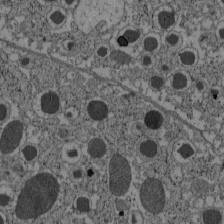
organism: C57BL Mouse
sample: Pancreatic islet